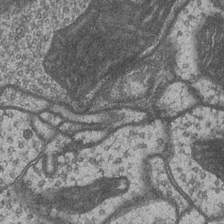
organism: Drosophila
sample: Optic medulla